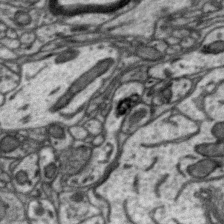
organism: Zebra finch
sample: Brain